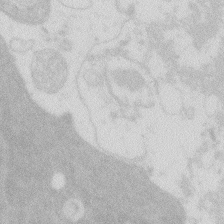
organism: Zebrafish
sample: Macrophage